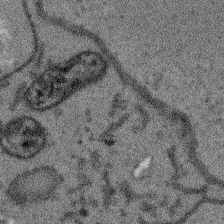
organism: Arabidopsis thaliana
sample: Root tip